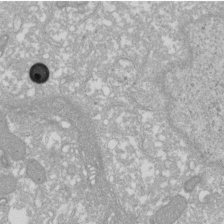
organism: Xenopus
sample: Cilia; centrioles in frog embryo cells